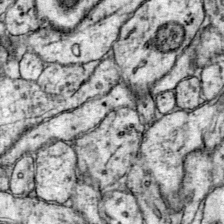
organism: Mouse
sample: Primary visual cortex